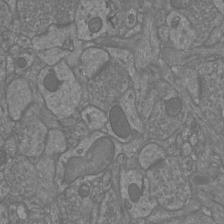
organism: Mouse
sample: Cortical neurons